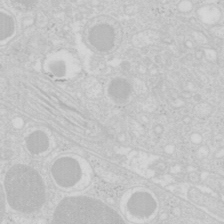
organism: Mouse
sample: Pancreas